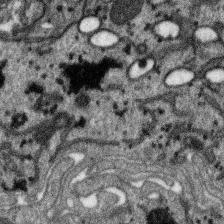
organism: Human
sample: Lung epithelial cells infected with SARS-CoV-2